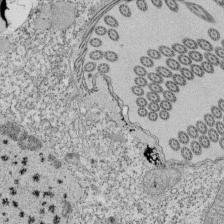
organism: Tetrahymena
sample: Cilia in tetrahymena